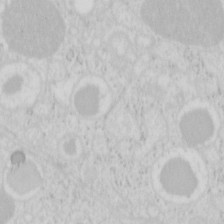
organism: Mouse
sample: Pancreas